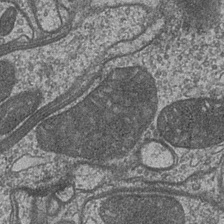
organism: Drosophila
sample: Optic medulla